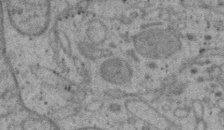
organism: Human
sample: HeLa cells